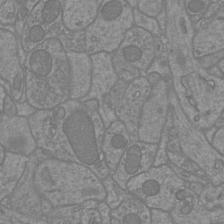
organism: Mouse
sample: Cortical neurons